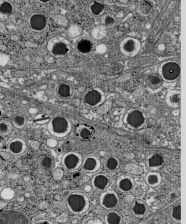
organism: C57BL Mouse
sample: Pancreatic islet